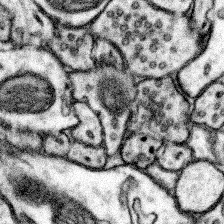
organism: Mouse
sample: Somatosensory cortex neuropil